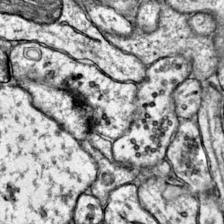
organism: Mouse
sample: Primary visual cortex